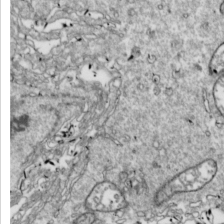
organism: Drosophila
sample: Cell division; meiosis; drosophila spermatocytes